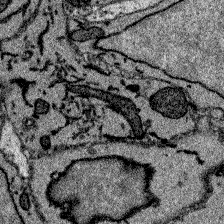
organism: Zebrafish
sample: Larval olfactory bulb